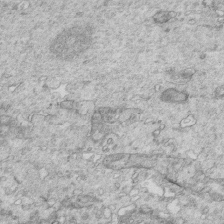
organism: Mouse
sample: Multiciliated cells